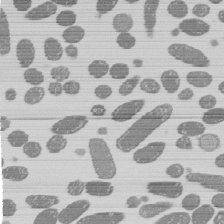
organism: E. coli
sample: Bacterial nucleoid